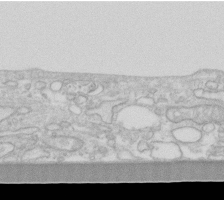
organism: Human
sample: Fibroblast cells